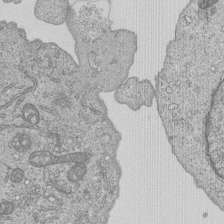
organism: Human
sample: MDA-MB-231 cells